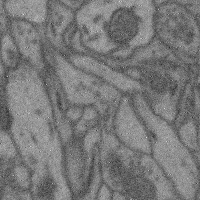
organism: Mouse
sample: Cerebral cortex